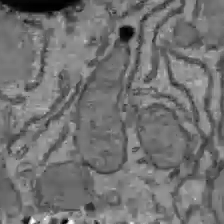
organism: C57BL Mouse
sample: Liver